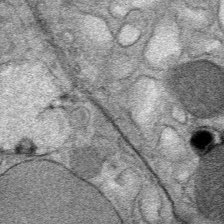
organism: Mouse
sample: Mouse Salivary gland